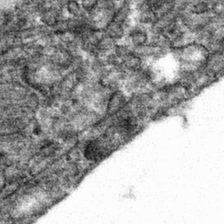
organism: Mouse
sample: Mouse hepatocytes